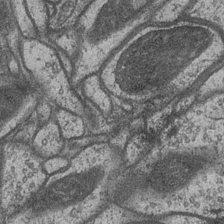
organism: Drosophila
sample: Optic medulla